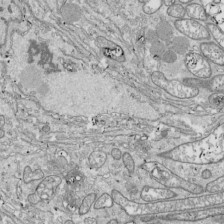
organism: Drosophila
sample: Cell division; meiosis; drosophila spermatocytes